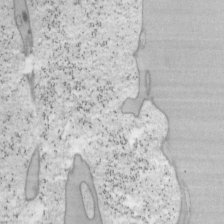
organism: Mouse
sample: OT-I killer T cells with ID8 ovarian cancer cells